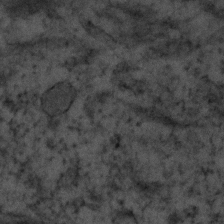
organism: Human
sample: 1205lu cells